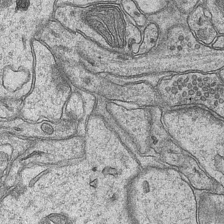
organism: Mouse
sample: CA1 Hippocampus